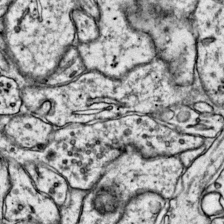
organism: Mouse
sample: Primary visual cortex